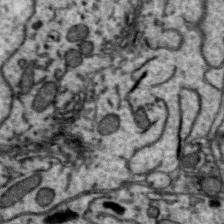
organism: Zebra finch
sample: Brain